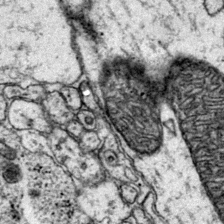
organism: Mouse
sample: Primary visual cortex